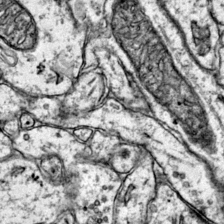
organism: Mouse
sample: Primary visual cortex